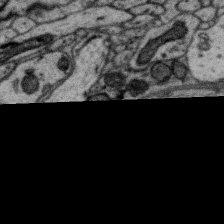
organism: Zebra finch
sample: Brain